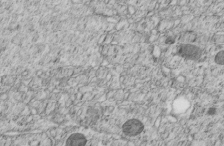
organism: C. elegans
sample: C. elegans embryo early stage